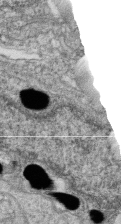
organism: Zebrafish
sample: Cilia; retinal pigment epithelium